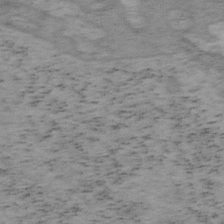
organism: Mouse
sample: OT-I killer T cells with ID8 ovarian cancer cells